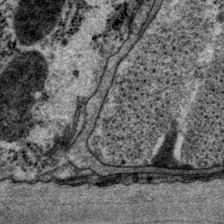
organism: P. pacificus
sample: Pharynx